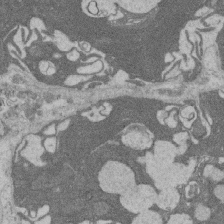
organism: Rat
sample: Salivary granule